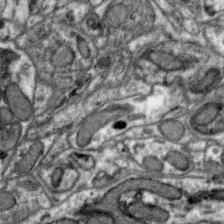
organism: Zebra finch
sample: Brain